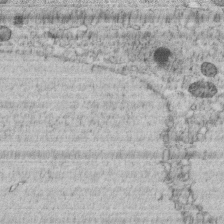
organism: C. elegans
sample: C. elegans embryo early stage